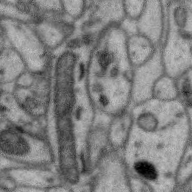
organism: Zebra finch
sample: Brain